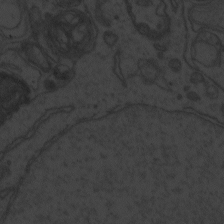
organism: Zebrafish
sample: Macrophage infected with Toxoplasma gondii